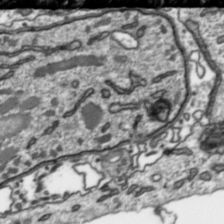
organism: Toxoplasma gondii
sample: Parasites in a vacuole inside a host cell